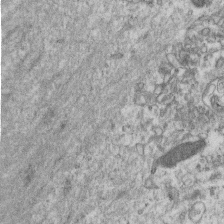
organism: Mouse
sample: Centriole in ependymal cells